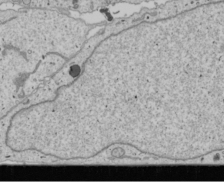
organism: Human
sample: Mitochondria in U2OS cells